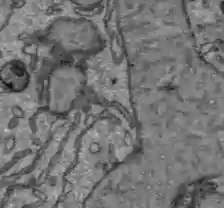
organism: C57BL Mouse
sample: Liver